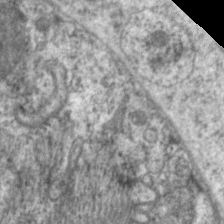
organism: C. elegans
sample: Pharynx